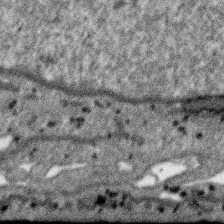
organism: Human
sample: Lung epithelial cells infected with SARS-CoV-2